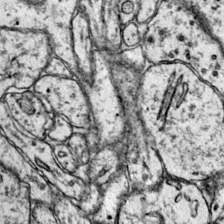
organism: Mouse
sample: Primary visual cortex